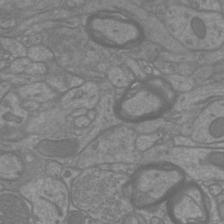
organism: Mouse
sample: Cortical neurons